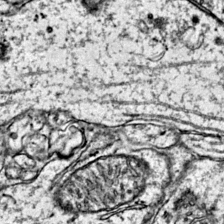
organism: Mouse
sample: Primary visual cortex